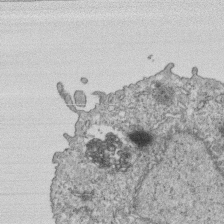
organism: Human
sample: HeLa cell HIV synapse